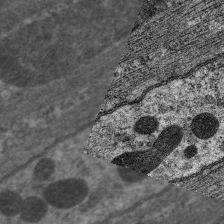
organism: C. elegans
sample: Pharynx